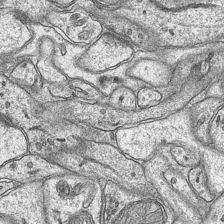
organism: Mouse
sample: CA1 Hippocampus